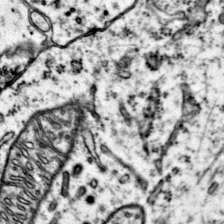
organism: Mouse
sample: Primary visual cortex